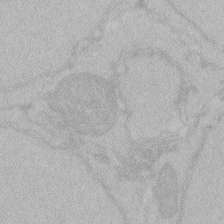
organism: Zebrafish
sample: Macrophage infected with Toxoplasma gondii